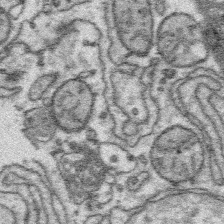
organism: Platynereis dumerilii